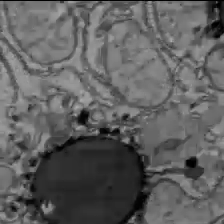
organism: C57BL Mouse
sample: Liver